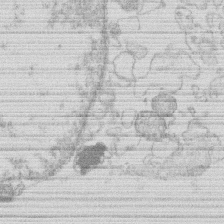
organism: Human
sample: Macrophage cells